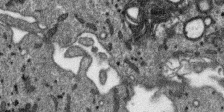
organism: Human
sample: Lung epithelial cells infected with SARS-CoV-2